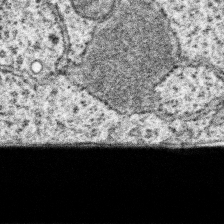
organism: Human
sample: HeLa cells